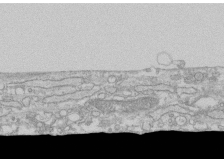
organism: Human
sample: CRL-1474